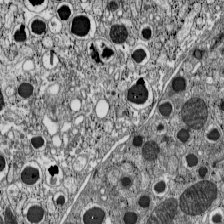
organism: C57BL Mouse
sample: Pancreatic islet